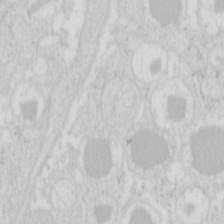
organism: Mouse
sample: Pancreas